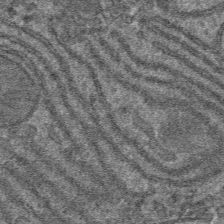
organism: Mouse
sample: Mouse hepatocytes